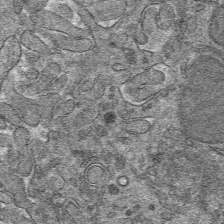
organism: Mouse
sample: Mouse hepatocytes